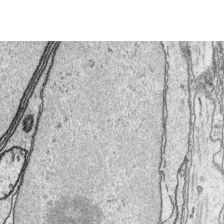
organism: Platynereis dumerilii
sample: Parapodia